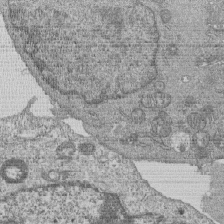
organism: Human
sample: MDA-MB-231 cells